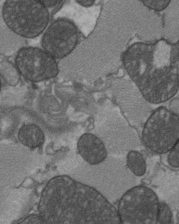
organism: C57BL Mouse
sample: Heart